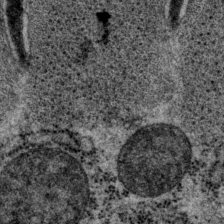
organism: P. pacificus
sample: Pharynx